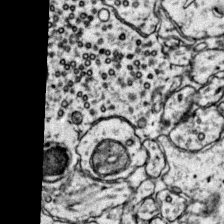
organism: Mouse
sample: Primary visual cortex